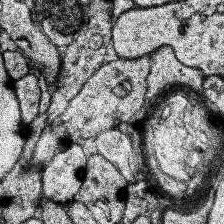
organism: Human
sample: Temporal Lobe